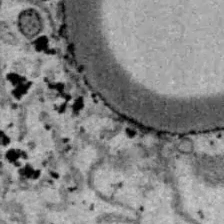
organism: Mouse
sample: Liver from an obese (ob/ob) mouse